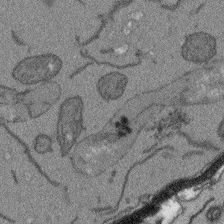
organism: Arabidopsis thaliana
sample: Root tip